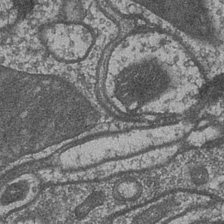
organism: Drosophila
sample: Optic medulla